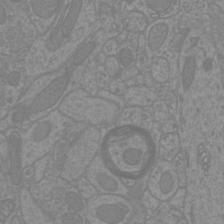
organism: Mouse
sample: Cortical neurons